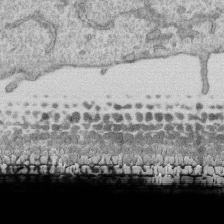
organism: Human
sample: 1205lu cells